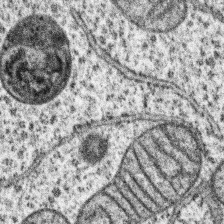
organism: Human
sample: HeLa cells